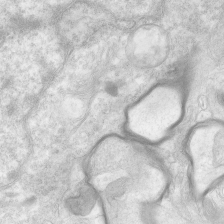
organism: Human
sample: Neocortex